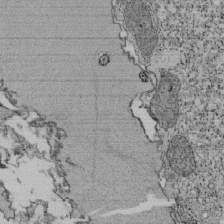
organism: Tetrahymena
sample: Cilia in tetrahymena